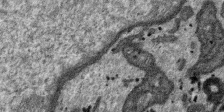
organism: Human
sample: Lung epithelial cells, uninfected (mock) control